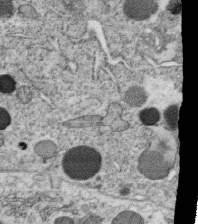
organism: C. elegans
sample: C. elegans oocyte; sperm cells